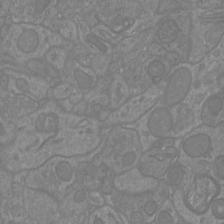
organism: Mouse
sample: Cortical neurons